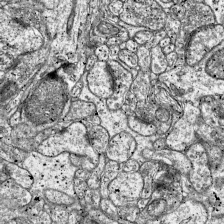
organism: Mouse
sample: Visual Cortex